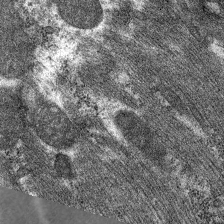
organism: C. elegans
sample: Pharynx